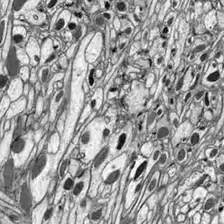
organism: Drosophila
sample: Optic lobe